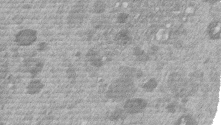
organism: Mouse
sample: Dividing mouse embryo 1 cell stage